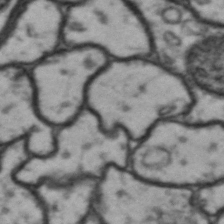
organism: Drosophila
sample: Brain